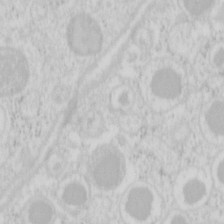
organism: Mouse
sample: Pancreas